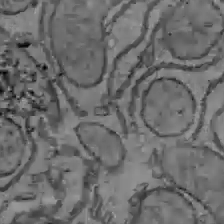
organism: C57BL Mouse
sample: Liver